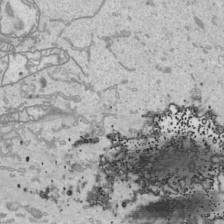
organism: Human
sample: Mitochondria in HCT116 cells